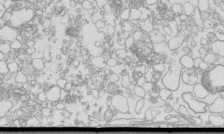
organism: Mouse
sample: Macrophages